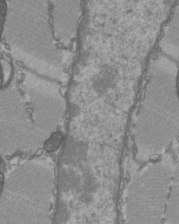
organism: C57BL Mouse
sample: Heart